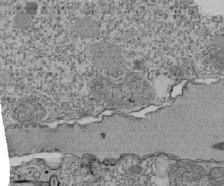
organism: Tetrahymena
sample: Cilia in tetrahymena